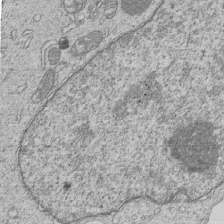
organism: Human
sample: MDA-MB-231 cells